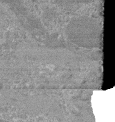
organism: Mouse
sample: Glomerulus